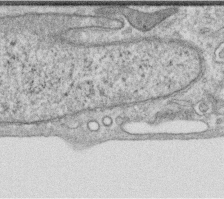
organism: Human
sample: Centriole in RPE cells